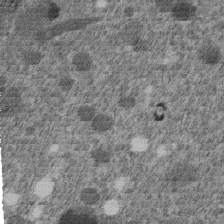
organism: C. elegans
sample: C. elegans embryo early stage